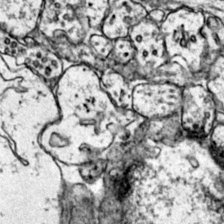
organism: Mouse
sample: Primary visual cortex